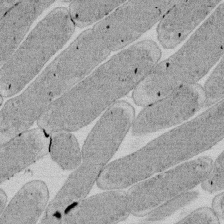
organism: E. coli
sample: Bacterial nucleoid